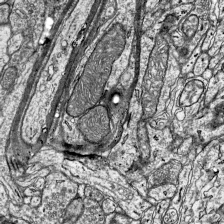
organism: Mouse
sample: Visual Cortex